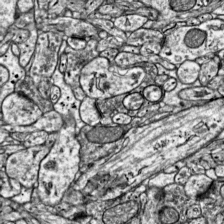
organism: Mouse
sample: Visual Cortex